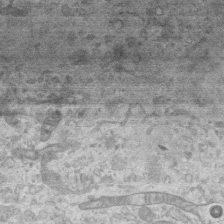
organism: Mouse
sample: Centriole in ependymal cells